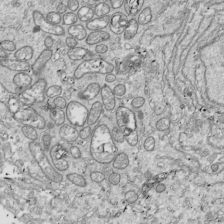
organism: Drosophila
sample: Cell division; meiosis; drosophila spermatocytes